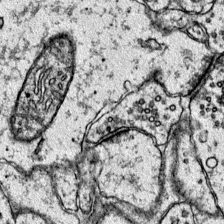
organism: Mouse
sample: Primary visual cortex